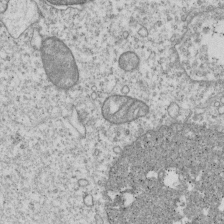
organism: Human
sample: MDA-MB-231 cells